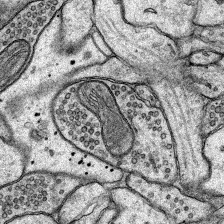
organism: Rat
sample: Hippocampus